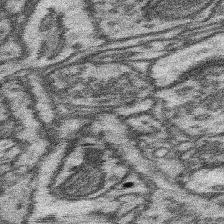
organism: Mouse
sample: Somatosensory cortex neuropil